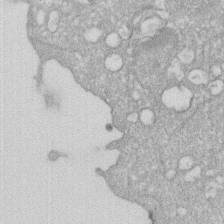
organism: Human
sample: HIV infected U937 cells